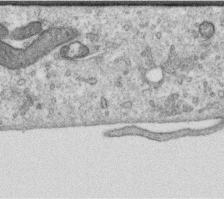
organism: Human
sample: Centriole in RPE cells